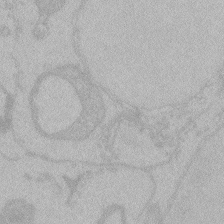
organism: Zebrafish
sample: Macrophage infected with Toxoplasma gondii